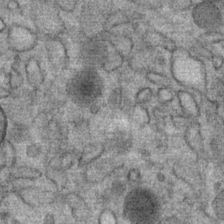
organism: Mouse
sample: Mouse Salivary gland